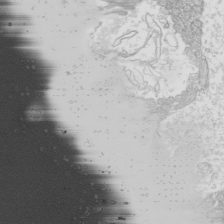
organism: Mouse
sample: Cilia; mouse epididymis